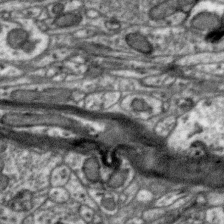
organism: Zebra finch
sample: Brain